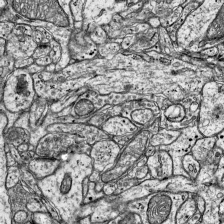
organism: Mouse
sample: Visual Cortex